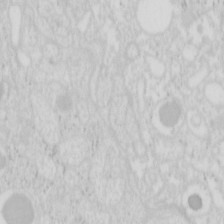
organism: Mouse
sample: Pancreas